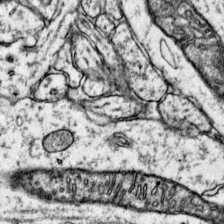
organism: Mouse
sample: Primary visual cortex